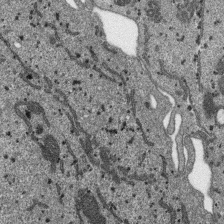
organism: Human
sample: Lung epithelial cells infected with SARS-CoV-2